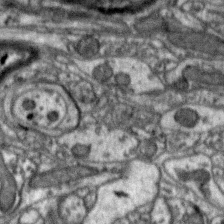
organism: Zebra finch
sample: Brain